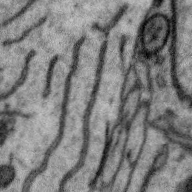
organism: Zebra finch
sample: Brain